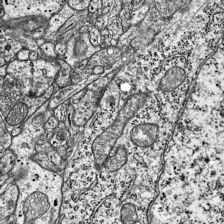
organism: Mouse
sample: Visual Cortex